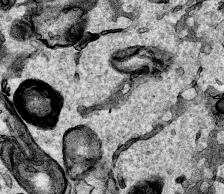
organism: Human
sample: Mitochondria in HCT116 cells